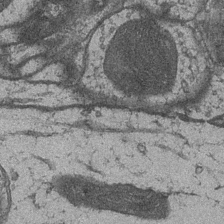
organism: Drosophila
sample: Optic medulla